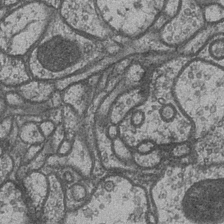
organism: Drosophila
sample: Optic medulla